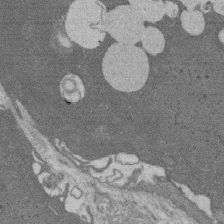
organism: Rat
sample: Salivary granule